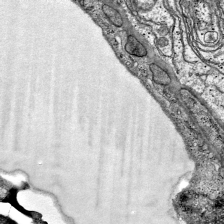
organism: Mouse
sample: Visual Cortex